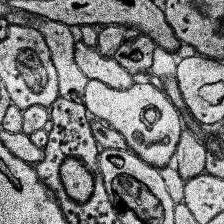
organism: Human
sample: Temporal Lobe